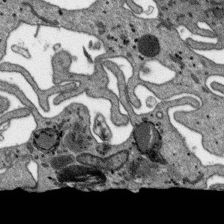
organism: Human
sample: Lung epithelial cells, uninfected (mock) control